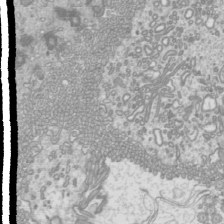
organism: Mouse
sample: Cilia; mouse epididymis